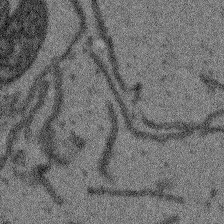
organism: Arabidopsis thaliana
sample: Root tip